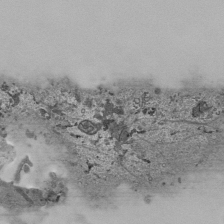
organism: Human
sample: Mitochondria in HCT116 cells